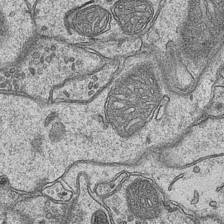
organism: Mouse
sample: CA1 Hippocampus